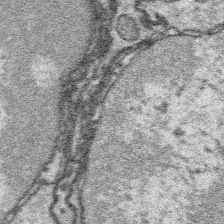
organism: Platynereis dumerilii